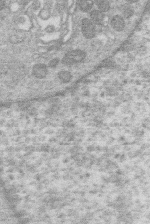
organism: Human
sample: Macrophage cells